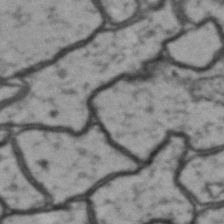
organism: Drosophila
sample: Brain